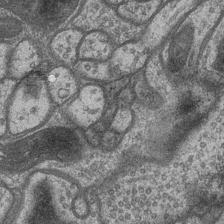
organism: Drosophila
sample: Optic medulla